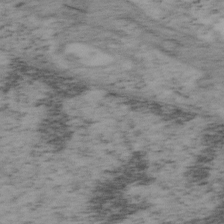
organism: Mouse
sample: OT-I killer T cells with ID8 ovarian cancer cells